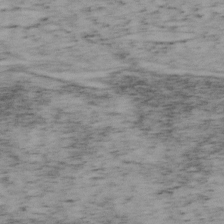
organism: Mouse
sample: OT-I killer T cells with ID8 ovarian cancer cells